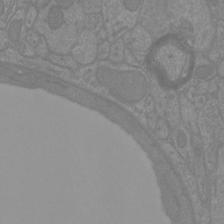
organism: Mouse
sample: Cortical neurons